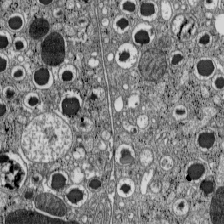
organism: C57BL Mouse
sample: Pancreatic islet